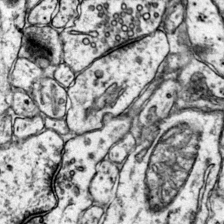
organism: Mouse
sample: Primary visual cortex